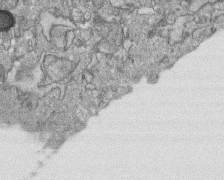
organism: Human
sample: CRL-1474